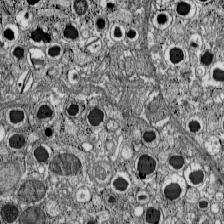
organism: C57BL Mouse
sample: Pancreatic islet